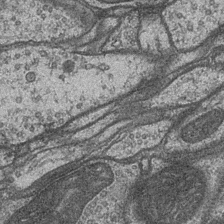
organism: Drosophila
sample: Optic medulla